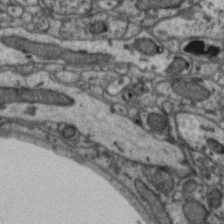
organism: Zebra finch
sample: Brain